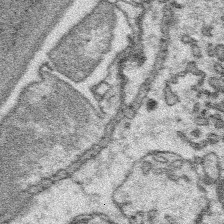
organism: Platynereis dumerilii